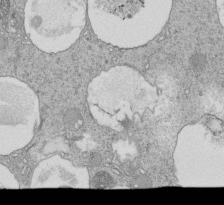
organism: Tetrahymena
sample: Cilia in tetrahymena